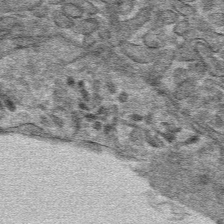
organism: Mouse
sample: Mouse hepatocytes